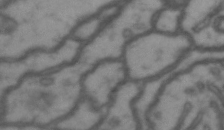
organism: Drosophila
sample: Brain